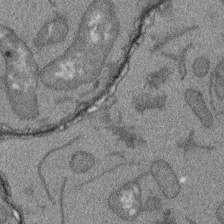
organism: Arabidopsis thaliana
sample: Root tip